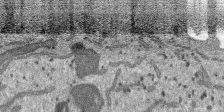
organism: Human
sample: Lung epithelial cells infected with SARS-CoV-2